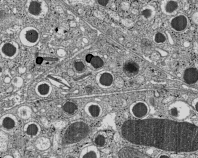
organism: C57BL Mouse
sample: Pancreatic islet